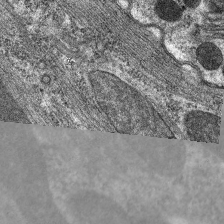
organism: C. elegans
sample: Pharynx